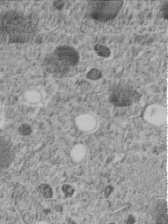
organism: C. elegans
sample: C. elegans embryo early stage